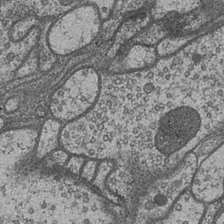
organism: Drosophila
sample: Optic medulla